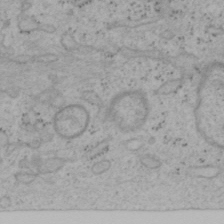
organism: Human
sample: HeLa cells